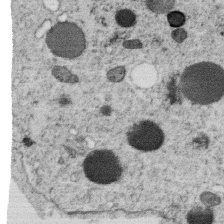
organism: C. elegans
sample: C. elegans oocyte; sperm cells